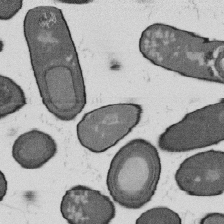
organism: B. subtilis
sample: Bacterial spore